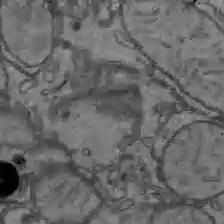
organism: C57BL Mouse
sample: Liver